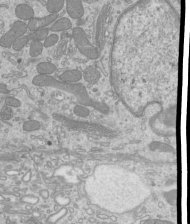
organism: Mouse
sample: Cilia; mouse epididymis